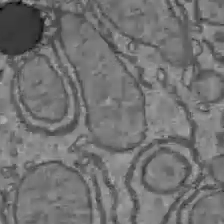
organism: C57BL Mouse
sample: Liver